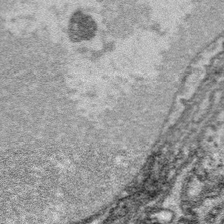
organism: Platynereis dumerilii